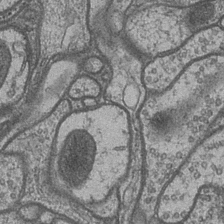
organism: Drosophila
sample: Optic medulla